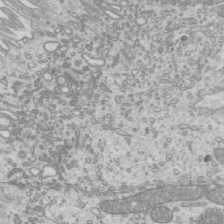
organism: Mouse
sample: Cilia; mouse epididymis